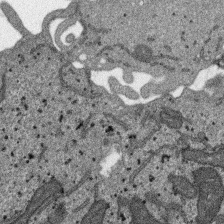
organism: Human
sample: Lung epithelial cells infected with SARS-CoV-2